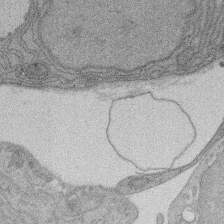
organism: Rat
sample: Salivary granule